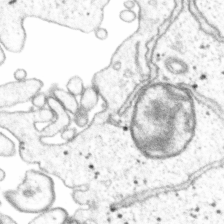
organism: Human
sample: HeLa cells